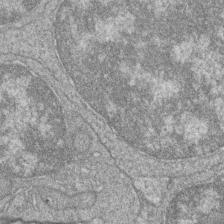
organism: Zebrafish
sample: Cilia; retinal pigment epithelium